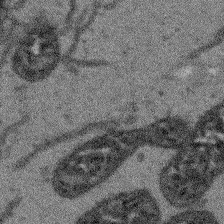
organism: Arabidopsis thaliana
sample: Root tip